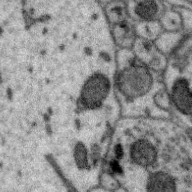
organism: Zebra finch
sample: Brain